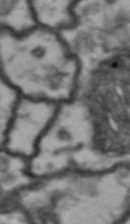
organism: Drosophila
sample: Brain